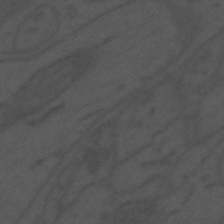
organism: Mouse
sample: Suprachiasmatic nucleus